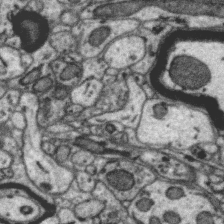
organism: Zebra finch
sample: Brain